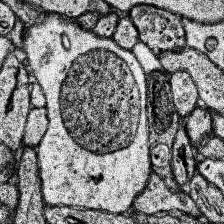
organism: Human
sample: Temporal Lobe